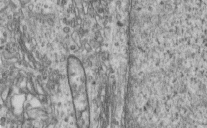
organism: Human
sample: Centriole in RPE cells